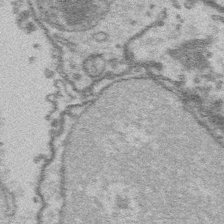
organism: Platynereis dumerilii